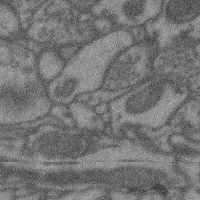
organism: Mouse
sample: Cerebral cortex